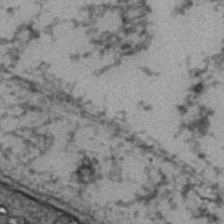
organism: Zebrafish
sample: Zebrafish embryo